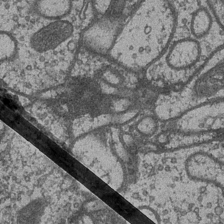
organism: Drosophila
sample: Optic medulla